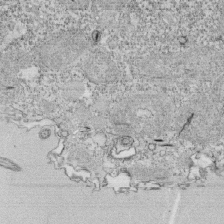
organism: Tetrahymena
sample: Cilia in tetrahymena